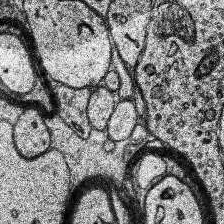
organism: Human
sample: Temporal Lobe